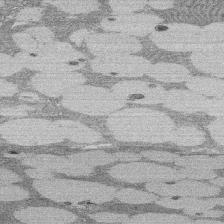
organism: Rat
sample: Salivary granule